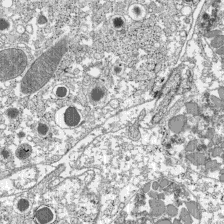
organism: C57BL Mouse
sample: Pancreatic islet